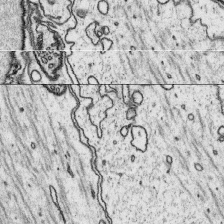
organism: Platynereis dumerilii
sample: Parapodia